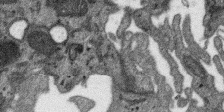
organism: Human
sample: Lung epithelial cells infected with SARS-CoV-2